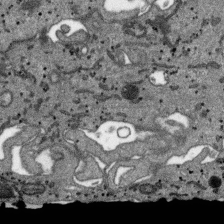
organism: Human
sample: Lung epithelial cells, uninfected (mock) control